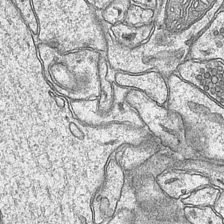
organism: Mouse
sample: CA1 Hippocampus